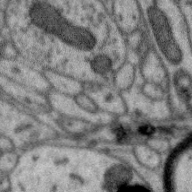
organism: Zebra finch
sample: Brain